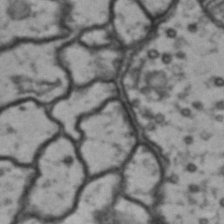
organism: Drosophila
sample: Brain